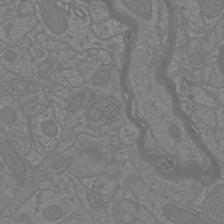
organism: Mouse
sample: Cortical neurons